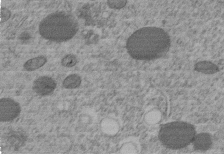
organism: C. elegans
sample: C. elegans embryo early stage